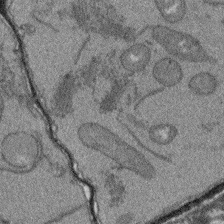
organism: Arabidopsis thaliana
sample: Root tip